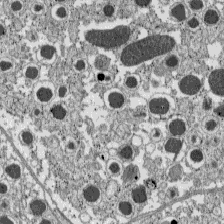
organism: C57BL Mouse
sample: Pancreatic islet